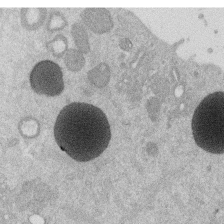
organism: Mouse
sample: Dividing mouse embryo 1 cell stage